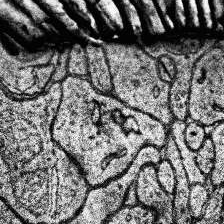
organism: Human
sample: Temporal Lobe